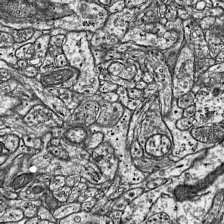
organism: Mouse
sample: Visual Cortex